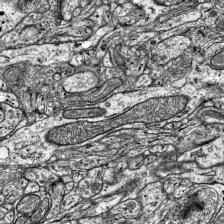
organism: Mouse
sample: Visual Cortex